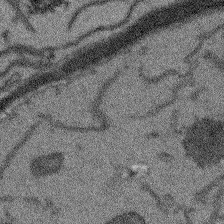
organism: Arabidopsis thaliana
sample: Root tip